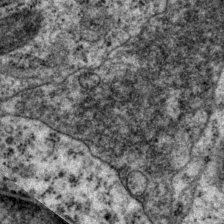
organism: P. pacificus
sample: Pharynx